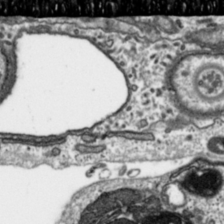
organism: Toxoplasma gondii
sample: Parasites in a vacuole inside a host cell